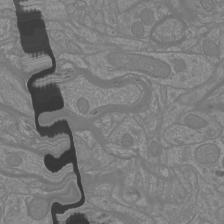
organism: Mouse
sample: Cortical neurons